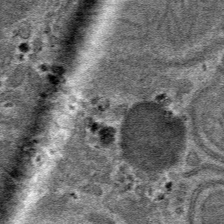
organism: Mouse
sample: Mouse hepatocytes